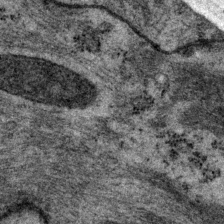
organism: P. pacificus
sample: Pharynx